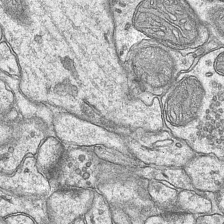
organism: Mouse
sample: CA1 Hippocampus